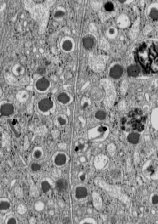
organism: C57BL Mouse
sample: Pancreatic islet